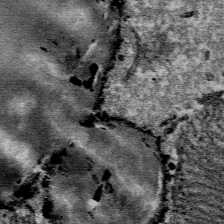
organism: Mouse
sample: Mouse Salivary gland